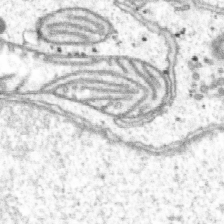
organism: Human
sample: HeLa cells